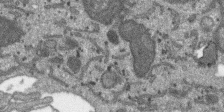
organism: Human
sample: Lung epithelial cells infected with SARS-CoV-2